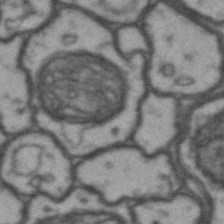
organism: Drosophila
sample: Brain